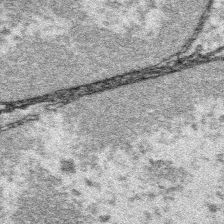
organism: Platynereis dumerilii